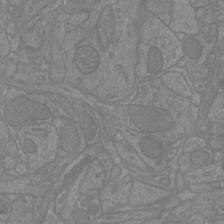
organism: Mouse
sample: Cortical neurons